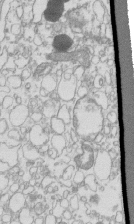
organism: Mouse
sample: Macrophages